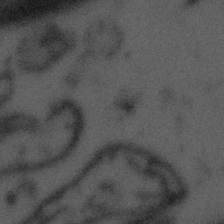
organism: Tuwongella immobilis